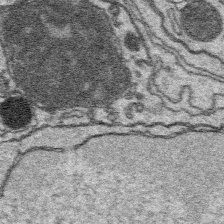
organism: Platynereis dumerilii